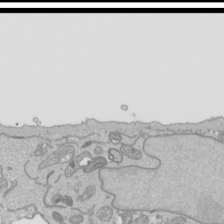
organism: Human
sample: Mitochondria in HCT116 cells